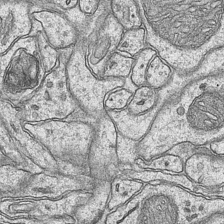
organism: Mouse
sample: CA1 Hippocampus